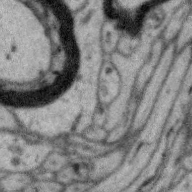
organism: Zebra finch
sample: Brain